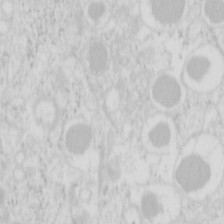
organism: Mouse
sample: Pancreas